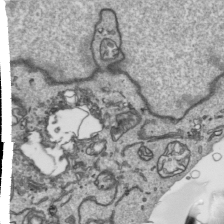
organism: Human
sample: Mitochondria in HCT116 cells